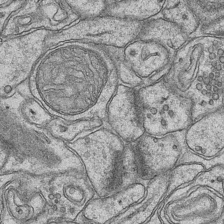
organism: Mouse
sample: CA1 Hippocampus